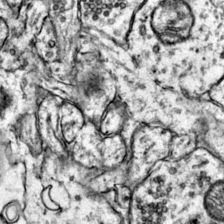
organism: Mouse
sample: Primary visual cortex